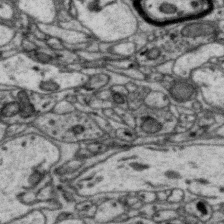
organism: Zebra finch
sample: Brain